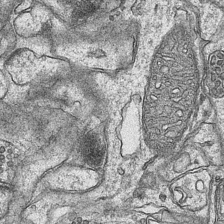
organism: Mouse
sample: CA1 Hippocampus